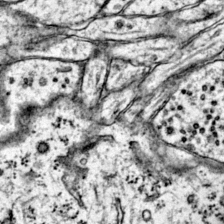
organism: Mouse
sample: Primary visual cortex